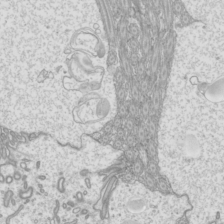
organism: Mouse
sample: Cilia; mouse epididymis